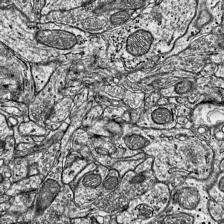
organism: Mouse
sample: Visual Cortex